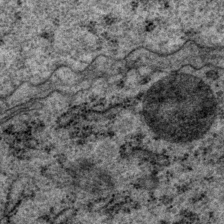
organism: P. pacificus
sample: Pharynx